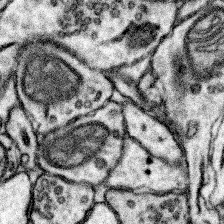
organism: Mouse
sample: Somatosensory cortex neuropil